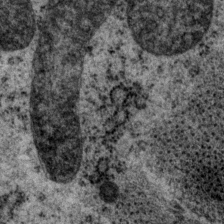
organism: P. pacificus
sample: Pharynx